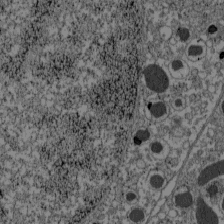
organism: C57BL Mouse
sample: Pancreatic islet